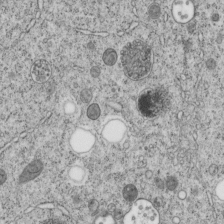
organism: C. elegans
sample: C. elegans embryo early stage